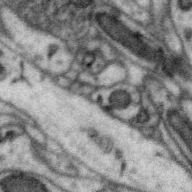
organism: Zebra finch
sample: Brain